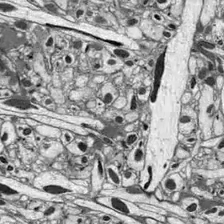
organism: Drosophila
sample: Optic lobe